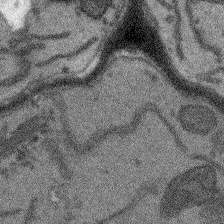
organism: Arabidopsis thaliana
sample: Root tip